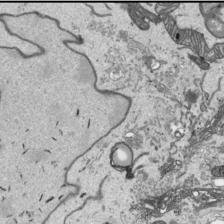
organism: Human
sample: Mitochondria in HCT116 cells